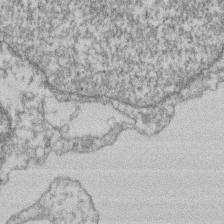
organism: Mouse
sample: T cell stromal cell synapse